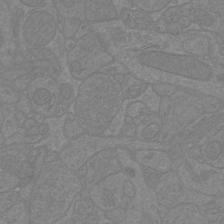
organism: Mouse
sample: Cortical neurons